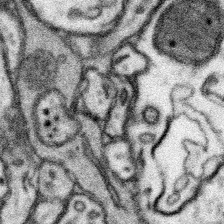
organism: Mouse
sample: Somatosensory cortex neuropil